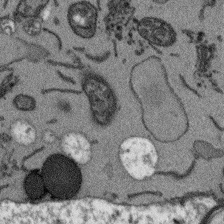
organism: Arabidopsis thaliana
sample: Root tip